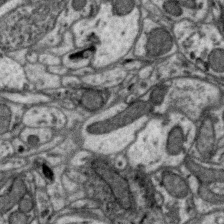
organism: Zebra finch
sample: Brain